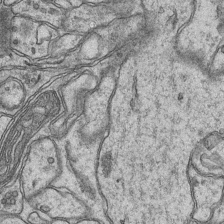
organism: Mouse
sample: CA1 Hippocampus